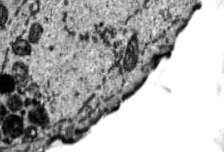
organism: Human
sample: HeLa cells